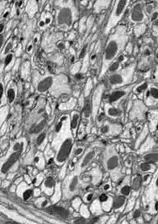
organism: Drosophila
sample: Optic lobe